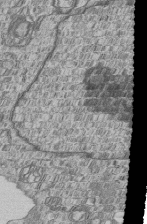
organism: Human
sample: MDA-MB-231 cells